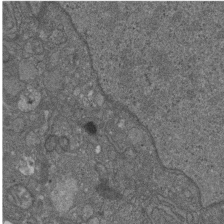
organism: Drosophila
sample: Nephrocyte